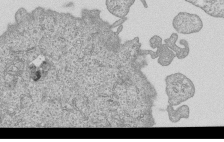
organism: Human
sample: MDA-MB-231 cells